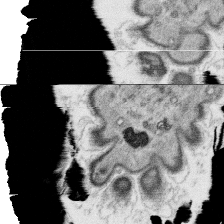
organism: Platynereis dumerilii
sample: Parapodia